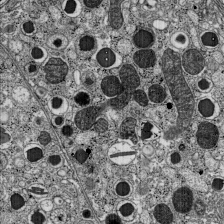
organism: C57BL Mouse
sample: Pancreatic islet